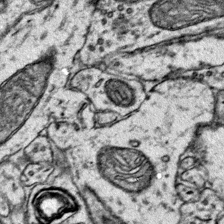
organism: Mouse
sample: Primary visual cortex